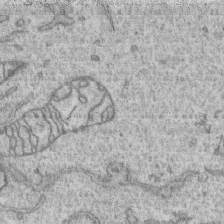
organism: Human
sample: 1205lu cells